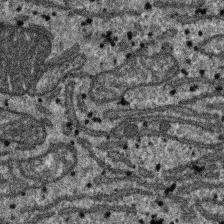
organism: Human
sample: Lung epithelial cells infected with SARS-CoV-2